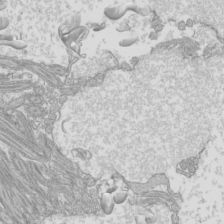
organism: Mouse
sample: Cilia; mouse epididymis